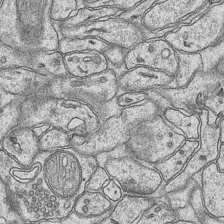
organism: Mouse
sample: CA1 Hippocampus